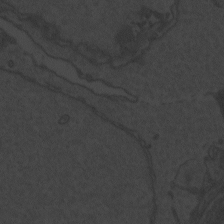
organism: Zebrafish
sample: Macrophage infected with Toxoplasma gondii